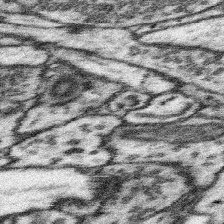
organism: Mouse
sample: Somatosensory cortex neuropil